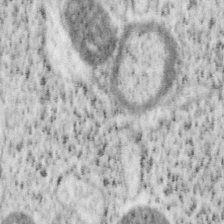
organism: Mouse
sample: OT-I killer T cells with ID8 ovarian cancer cells